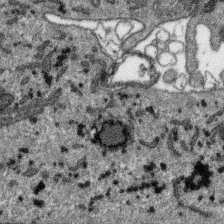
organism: Human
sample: Lung epithelial cells infected with SARS-CoV-2